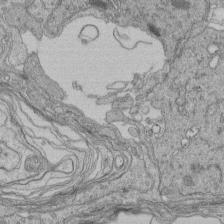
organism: Human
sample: Retinal organoid Rod and Cone cells